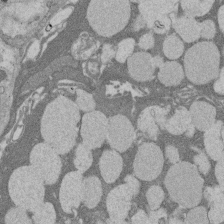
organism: Rat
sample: Salivary granule